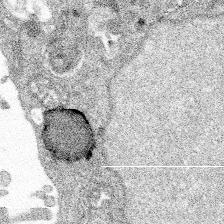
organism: Spongilla lacustris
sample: Multiple